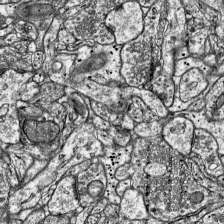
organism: Mouse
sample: Visual Cortex